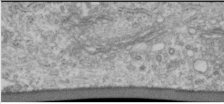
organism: Human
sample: Cilia; basal body in RPE cells